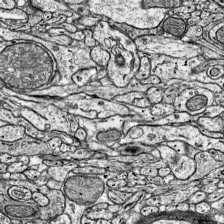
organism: Mouse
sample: Visual Cortex